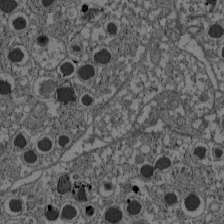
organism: C57BL Mouse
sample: Pancreatic islet